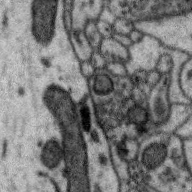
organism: Zebra finch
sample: Brain